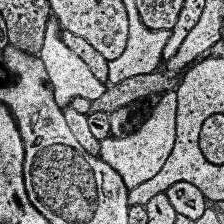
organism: Human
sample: Temporal Lobe